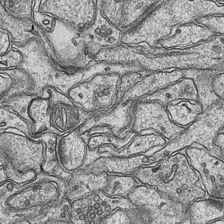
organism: Mouse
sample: CA1 Hippocampus